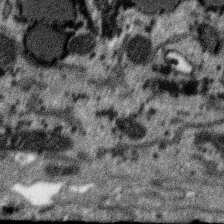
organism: Human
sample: Lung epithelial cells infected with SARS-CoV-2